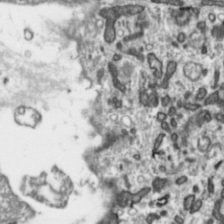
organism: Toxoplasma gondii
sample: Parasites in a vacuole inside a host cell